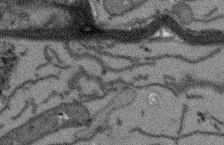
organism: Arabidopsis thaliana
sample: Root tip